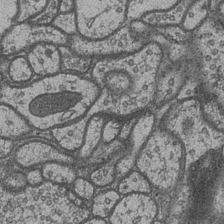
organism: Drosophila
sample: Optic medulla